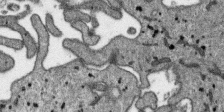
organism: Human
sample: Lung epithelial cells, uninfected (mock) control